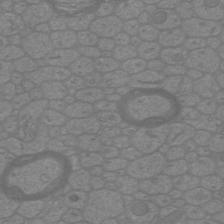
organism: Mouse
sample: Cortical neurons